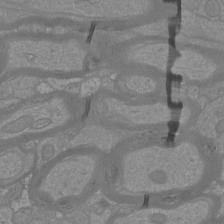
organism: Mouse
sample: Cortical neurons